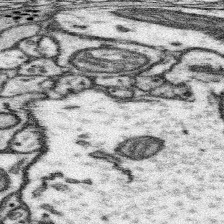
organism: Mouse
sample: Somatosensory cortex neuropil